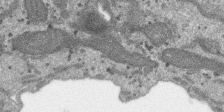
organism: Human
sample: Lung epithelial cells infected with SARS-CoV-2